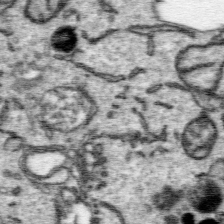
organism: Human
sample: HeLa cells